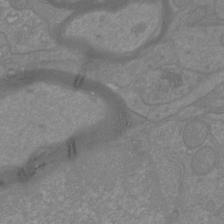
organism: Mouse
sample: Cortical neurons